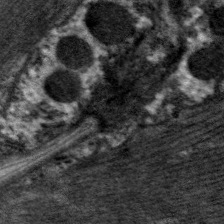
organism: C. elegans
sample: Pharynx